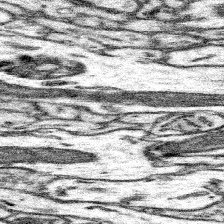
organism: Mouse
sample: Somatosensory cortex neuropil